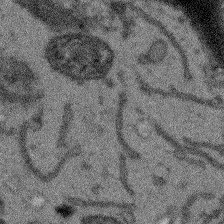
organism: Arabidopsis thaliana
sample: Root tip